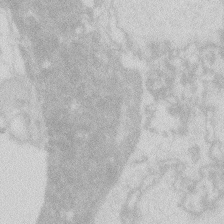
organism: Zebrafish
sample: Macrophage